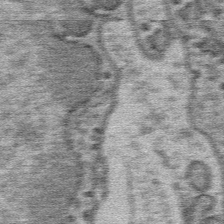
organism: Mouse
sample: Mouse Salivary gland